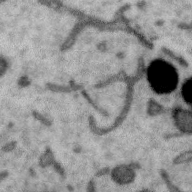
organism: Zebra finch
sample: Brain